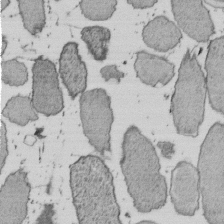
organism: E. coli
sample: Bacterial nucleoid